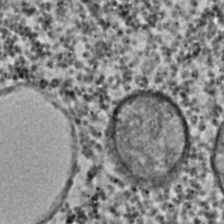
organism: C. elegans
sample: C. elegans embryo